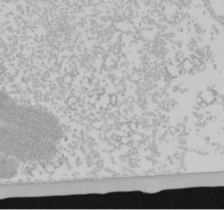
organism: Mouse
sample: Cancer cell death in ED-1 cells